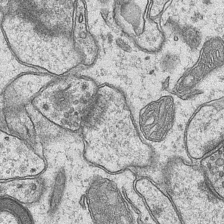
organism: Mouse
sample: CA1 Hippocampus